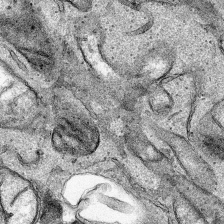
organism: Human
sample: Mitochondria in HCT116 cells